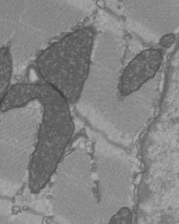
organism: C57BL Mouse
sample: Heart